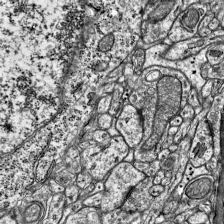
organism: Mouse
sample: Visual Cortex